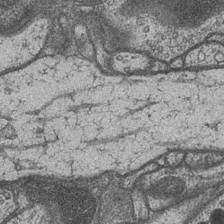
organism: Drosophila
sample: Optic medulla